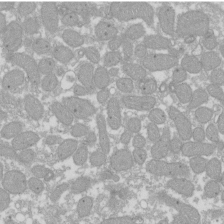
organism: Xenopus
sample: Cilia; centrioles in frog embryo cells